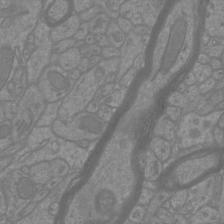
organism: Mouse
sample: Cortical neurons